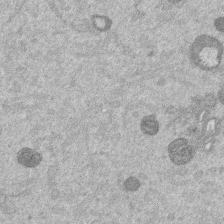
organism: Mouse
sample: Dividing mouse embryo 1 cell stage